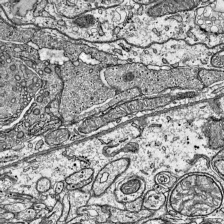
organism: Mouse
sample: Visual Cortex